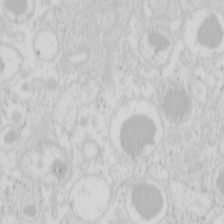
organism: Mouse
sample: Pancreas